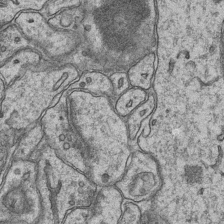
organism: Mouse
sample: CA1 Hippocampus